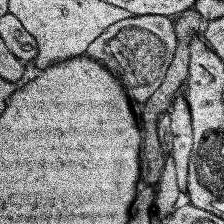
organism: Human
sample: Temporal Lobe